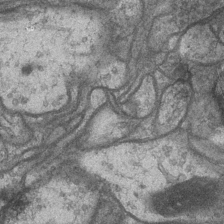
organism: Drosophila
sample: Optic medulla